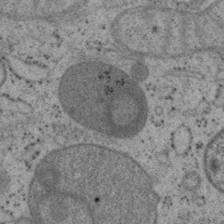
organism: Human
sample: HeLa cells